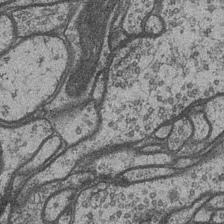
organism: Drosophila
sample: Optic medulla